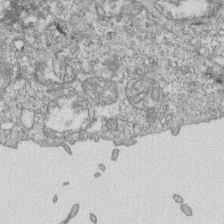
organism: Human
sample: HeLa cell HIV synapse